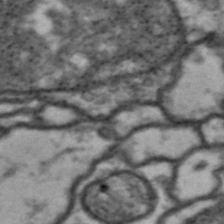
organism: Drosophila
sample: Brain